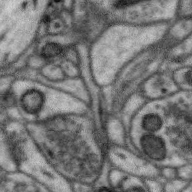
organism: Zebra finch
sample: Brain